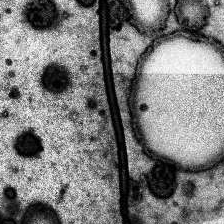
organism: Human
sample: Temporal Lobe